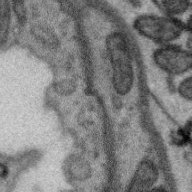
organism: Zebra finch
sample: Brain